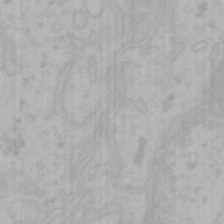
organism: Mouse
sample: Choroid plexus